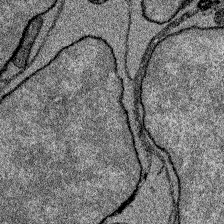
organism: Zebrafish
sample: Larval olfactory bulb